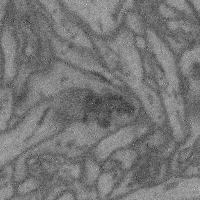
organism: Mouse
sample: Cerebral cortex